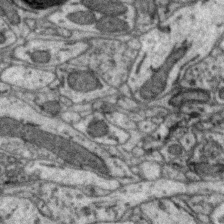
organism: Zebra finch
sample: Brain